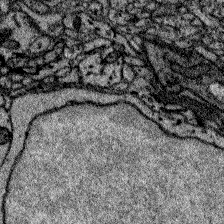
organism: Zebrafish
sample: Larval olfactory bulb